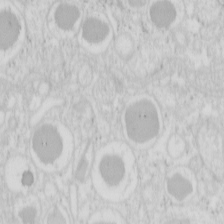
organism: Mouse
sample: Pancreas